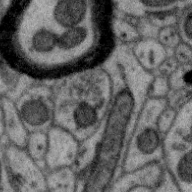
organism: Zebra finch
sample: Brain